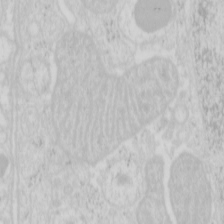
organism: Mouse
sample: Pancreas